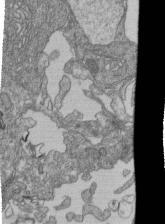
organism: Human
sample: Retinal organoid Rod and Cone cells